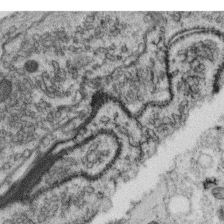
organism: C. elegans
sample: C. elegans oocyte; sperm cells